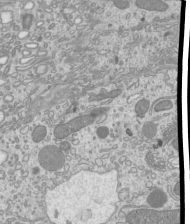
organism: Mouse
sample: Cilia; mouse epididymis